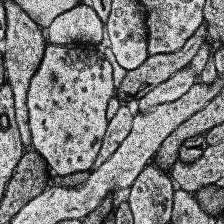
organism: Human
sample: Temporal Lobe